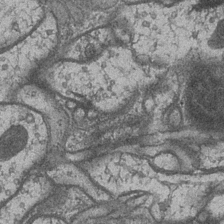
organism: Drosophila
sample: Optic medulla